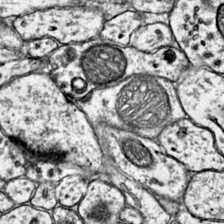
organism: Mouse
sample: Primary visual cortex